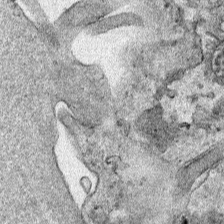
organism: Human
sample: Mitochondria in HCT116 cells